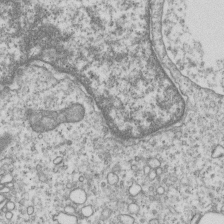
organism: Human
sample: MDA-MB-231 cells